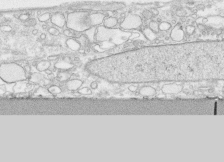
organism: Human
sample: CRL-1474